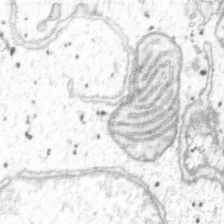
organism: Human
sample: HeLa cells